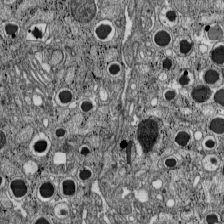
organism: C57BL Mouse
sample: Pancreatic islet